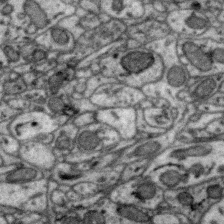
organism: Zebra finch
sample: Brain